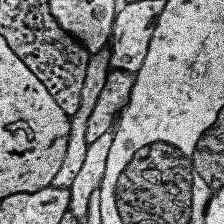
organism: Human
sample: Temporal Lobe